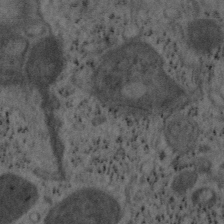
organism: Human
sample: HeLa cells